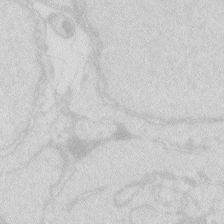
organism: Zebrafish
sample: Macrophage